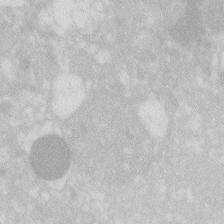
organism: Zebrafish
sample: Macrophage